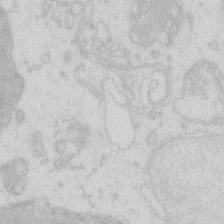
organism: Zebrafish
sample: Macrophage